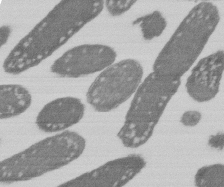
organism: E. coli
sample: Bacterial nucleoid